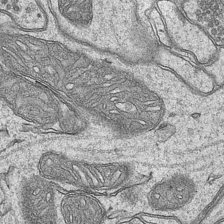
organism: Mouse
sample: CA1 Hippocampus